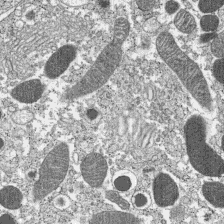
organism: C57BL Mouse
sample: Pancreatic islet